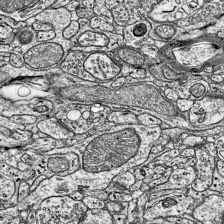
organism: Mouse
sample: Visual Cortex